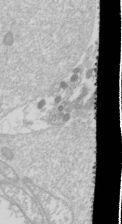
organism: Drosophila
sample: Cell division; meiosis; drosophila spermatocytes